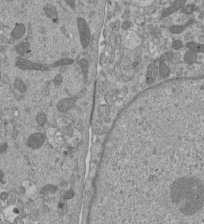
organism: Mouse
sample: ED-1 cell nuclei; centrioles